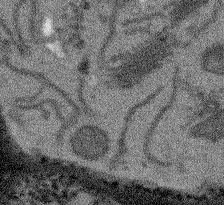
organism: Arabidopsis thaliana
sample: Root tip